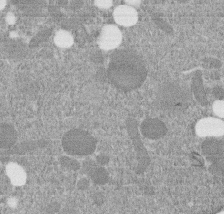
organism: C. elegans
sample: C. elegans embryo early stage